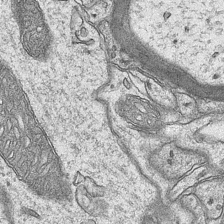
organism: Mouse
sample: CA1 Hippocampus